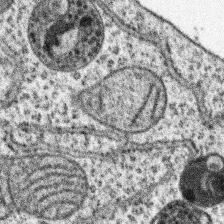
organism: Human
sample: HeLa cells